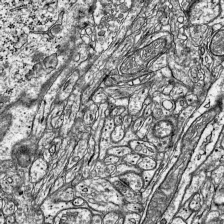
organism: Mouse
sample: Visual Cortex